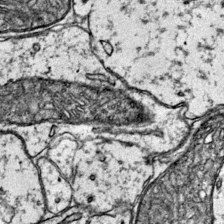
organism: Mouse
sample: Primary visual cortex